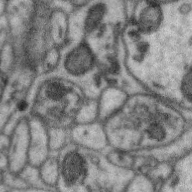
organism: Zebra finch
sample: Brain